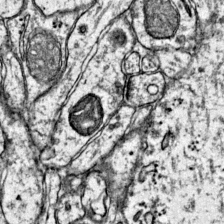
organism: Mouse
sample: Primary visual cortex